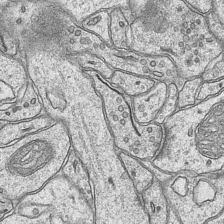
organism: Mouse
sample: CA1 Hippocampus